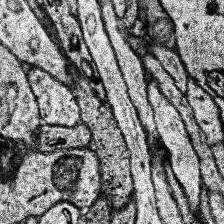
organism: Human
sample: Temporal Lobe